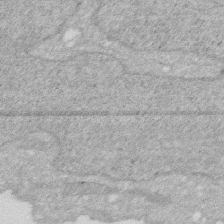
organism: Human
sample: HIV infected U937 cells